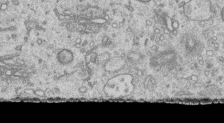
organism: Human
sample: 1205lu cells